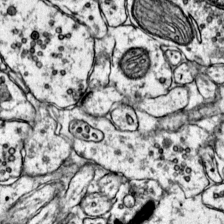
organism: Mouse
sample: Primary visual cortex